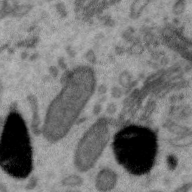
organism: Zebra finch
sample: Brain